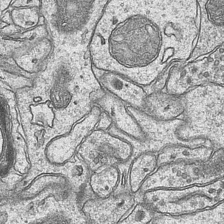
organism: Mouse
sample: CA1 Hippocampus